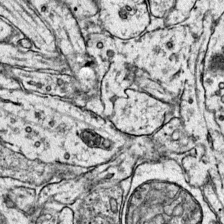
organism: Mouse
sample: Primary visual cortex